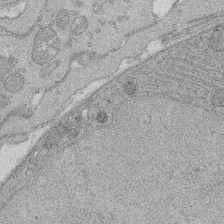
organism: Rat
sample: Salivary granule